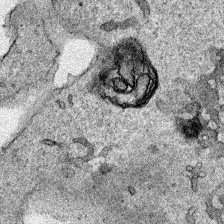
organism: Human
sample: Mitochondria in HCT116 cells